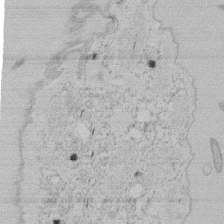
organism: Tetrahymena